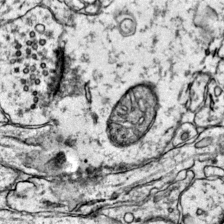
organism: Mouse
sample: Primary visual cortex